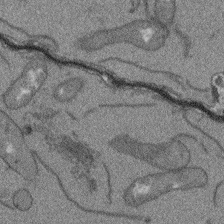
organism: Arabidopsis thaliana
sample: Root tip